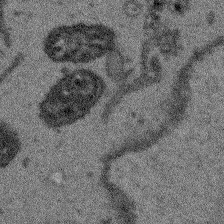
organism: Arabidopsis thaliana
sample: Root tip